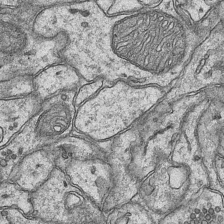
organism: Mouse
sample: CA1 Hippocampus